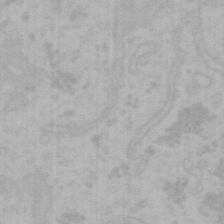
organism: Mouse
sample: Choroid plexus